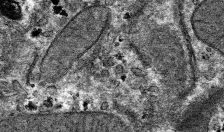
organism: Mouse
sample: Mouse hepatocytes